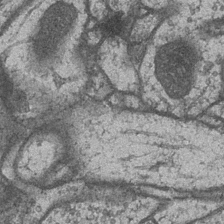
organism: Drosophila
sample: Optic medulla